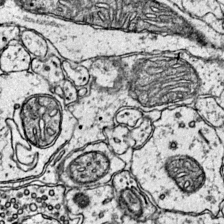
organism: Mouse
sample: Primary visual cortex